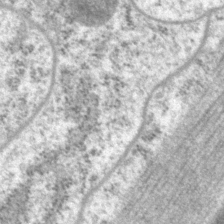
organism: P. pacificus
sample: Pharynx